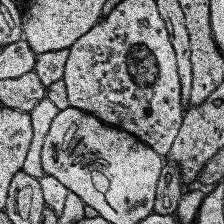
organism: Human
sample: Temporal Lobe